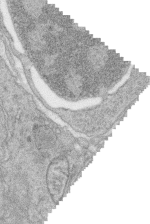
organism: Zebrafish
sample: synaptic ribbons in rod cells and cone cells